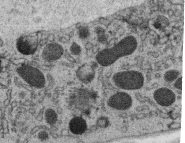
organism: C. elegans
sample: C. elegans oocyte; sperm cells